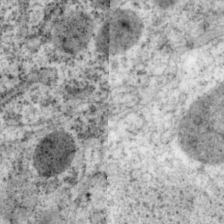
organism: P. pacificus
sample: Pharynx